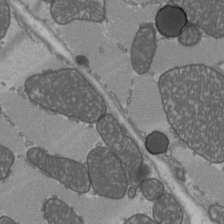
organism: C57BL Mouse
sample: Heart